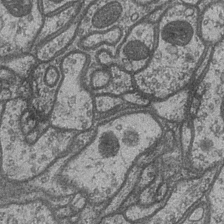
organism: Drosophila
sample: Optic medulla